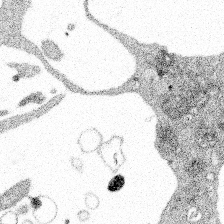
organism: Spongilla lacustris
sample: Multiple